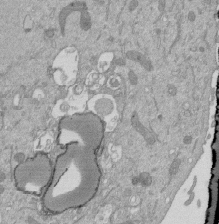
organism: Mouse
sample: ED-1 cell nuclei; centrioles